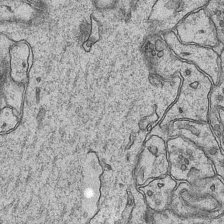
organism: Mouse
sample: CA1 Hippocampus